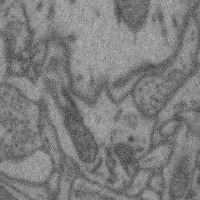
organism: Mouse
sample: Cerebral cortex